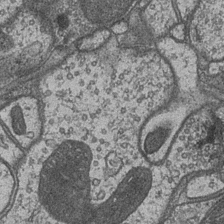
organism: Drosophila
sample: Optic medulla